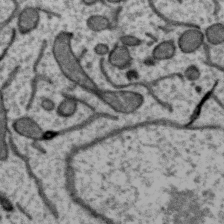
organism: Zebra finch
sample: Brain